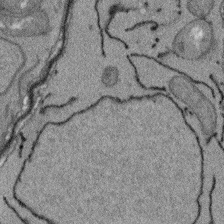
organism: Arabidopsis thaliana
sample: Root tip